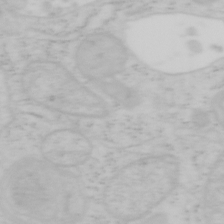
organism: Mouse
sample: OT-I killer T cells with ID8 ovarian cancer cells